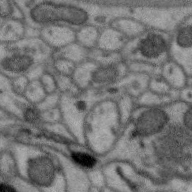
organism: Zebra finch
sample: Brain